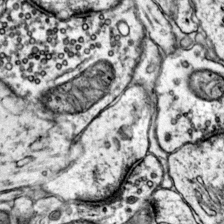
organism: Mouse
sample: Primary visual cortex